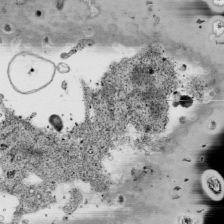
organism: Human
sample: Mitochondria in HCT116 cells